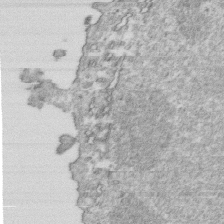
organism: Mouse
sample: Activated OT-1 CD8+ T cells